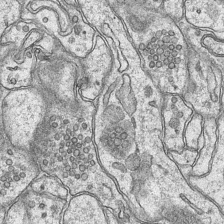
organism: Mouse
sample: CA1 Hippocampus